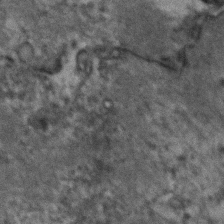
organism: Human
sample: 1205lu cells